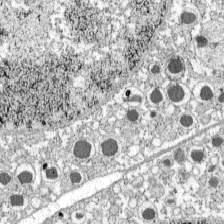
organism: C57BL Mouse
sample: Pancreatic islet